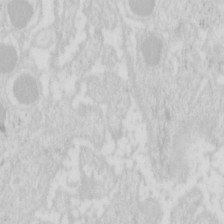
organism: Mouse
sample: Pancreas